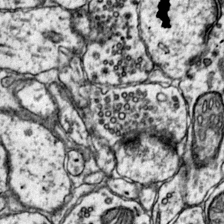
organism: Mouse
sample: Primary visual cortex